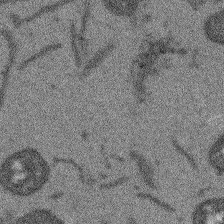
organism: Arabidopsis thaliana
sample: Root tip